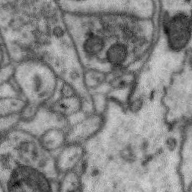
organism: Zebra finch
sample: Brain